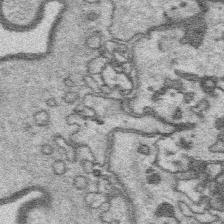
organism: Platynereis dumerilii